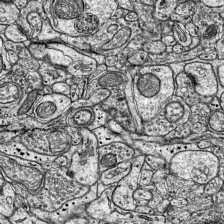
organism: Mouse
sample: Visual Cortex